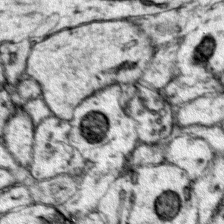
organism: Mouse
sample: Primary visual cortex